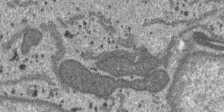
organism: Human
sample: Lung epithelial cells infected with SARS-CoV-2